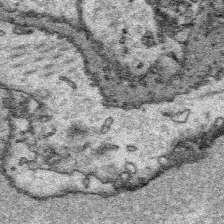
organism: Platynereis dumerilii